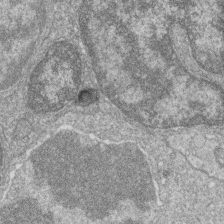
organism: Zebrafish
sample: Cilia; retinal pigment epithelium